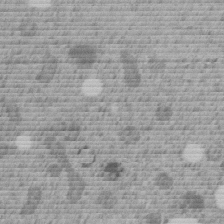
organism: C. elegans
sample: C. elegans embryo early stage